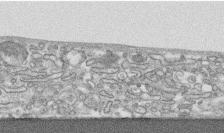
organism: Human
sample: CRL-1474